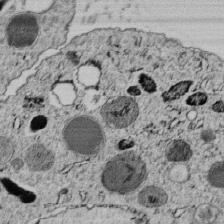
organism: C. elegans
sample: C. elegans embryo early stage